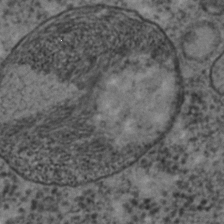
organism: C. elegans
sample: C. elegans embryo